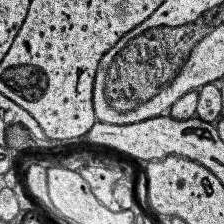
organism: Human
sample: Temporal Lobe